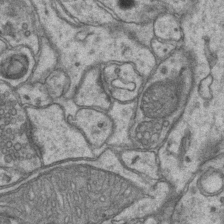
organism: Mouse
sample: CA1 Hippocampus